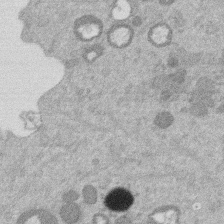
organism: Mouse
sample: Dividing mouse embryo 1 cell stage